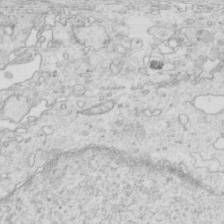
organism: Mouse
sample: Multiciliated cells